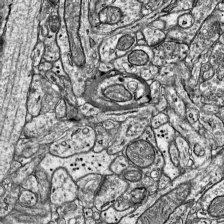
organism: Mouse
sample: Visual Cortex